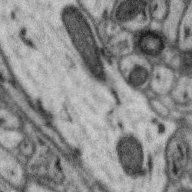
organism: Zebra finch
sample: Brain